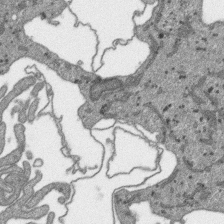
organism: Human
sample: Lung epithelial cells infected with SARS-CoV-2